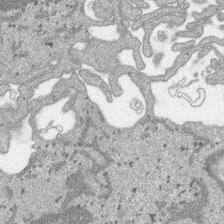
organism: Human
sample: Lung epithelial cells infected with SARS-CoV-2